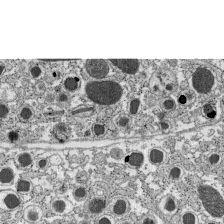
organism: C57BL Mouse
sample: Pancreatic islet